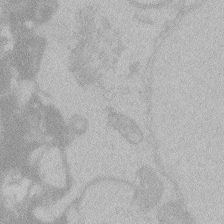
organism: Zebrafish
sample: Macrophage infected with Toxoplasma gondii